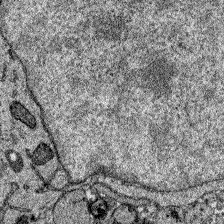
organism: Zebrafish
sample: Larval olfactory bulb